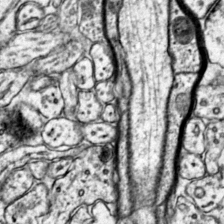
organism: Mouse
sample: Primary visual cortex